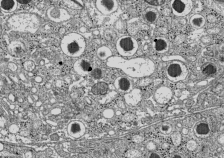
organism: C57BL Mouse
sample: Pancreatic islet